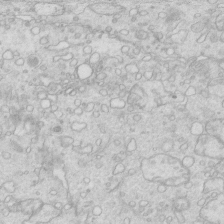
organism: Mouse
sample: Multiciliated cells